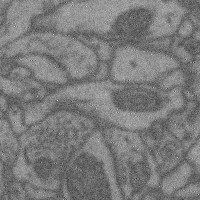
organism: Mouse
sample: Cerebral cortex